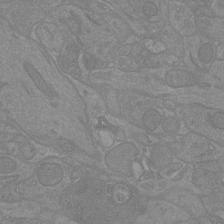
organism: Mouse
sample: Cortical neurons